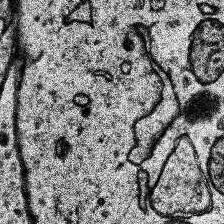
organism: Human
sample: Temporal Lobe